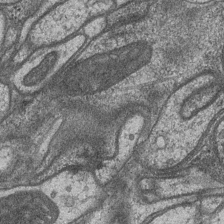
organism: Drosophila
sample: Optic medulla